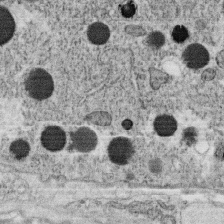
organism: C. elegans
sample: C. elegans oocyte; sperm cells